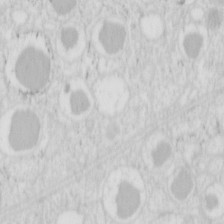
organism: Mouse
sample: Pancreas